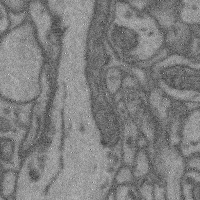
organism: Mouse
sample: Cerebral cortex